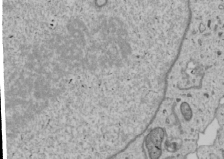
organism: Human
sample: Mitochondria in U2OS cells